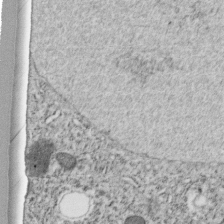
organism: C. elegans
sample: C. elegans embryo early stage